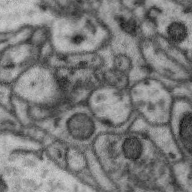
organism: Zebra finch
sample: Brain